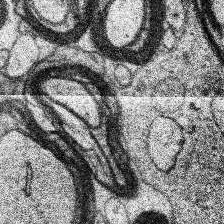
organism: Human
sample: Temporal Lobe